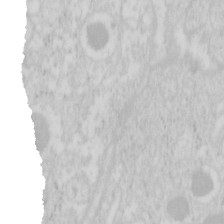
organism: Mouse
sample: Pancreas